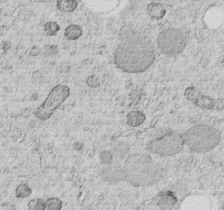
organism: C. elegans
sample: C. elegans embryo early stage